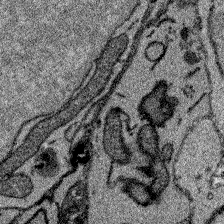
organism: Zebrafish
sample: Larval olfactory bulb